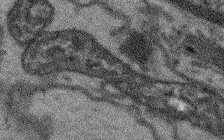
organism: Arabidopsis thaliana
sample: Root tip